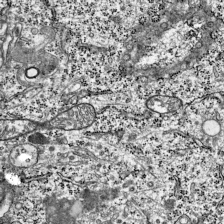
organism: Mouse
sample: Visual Cortex